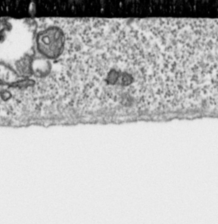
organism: Toxoplasma gondii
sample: Parasites in a vacuole inside a host cell